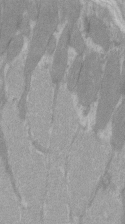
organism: C57BL Mouse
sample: Tibialis anterior muscle cell